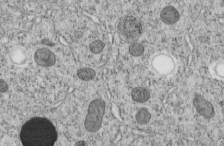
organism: C. elegans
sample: C. elegans embryo early stage